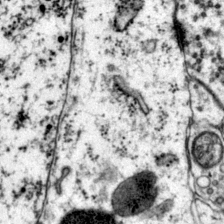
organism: Mouse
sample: Primary visual cortex